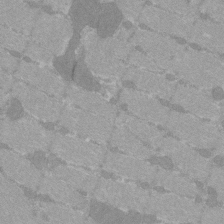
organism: C57BL Mouse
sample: Tibialis anterior muscle cell